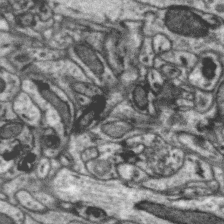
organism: Zebra finch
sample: Brain